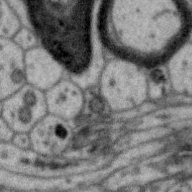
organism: Zebra finch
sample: Brain